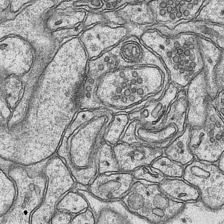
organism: Mouse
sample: CA1 Hippocampus